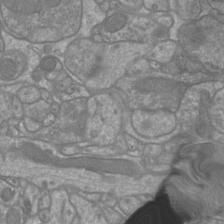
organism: Mouse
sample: Cortical neurons